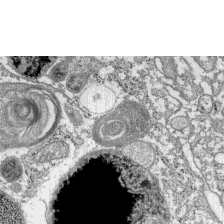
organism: C57BL Mouse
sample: Pancreatic islet